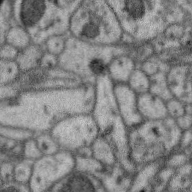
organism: Zebra finch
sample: Brain